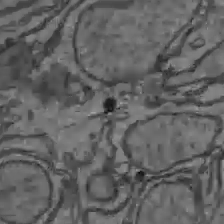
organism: C57BL Mouse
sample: Liver